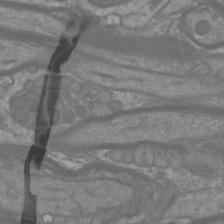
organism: Mouse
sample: Cortical neurons